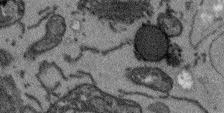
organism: Arabidopsis thaliana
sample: Root tip